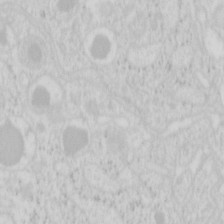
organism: Mouse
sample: Pancreas